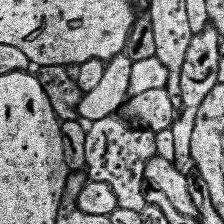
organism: Human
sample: Temporal Lobe